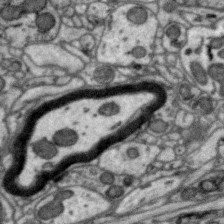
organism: Zebra finch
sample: Brain